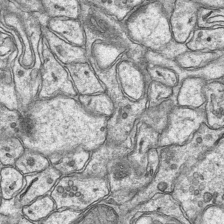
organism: Mouse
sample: CA1 Hippocampus